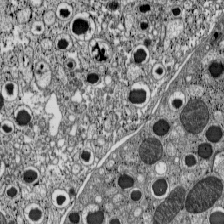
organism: C57BL Mouse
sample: Pancreatic islet